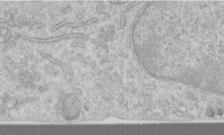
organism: Human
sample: Centriole in RPE cells